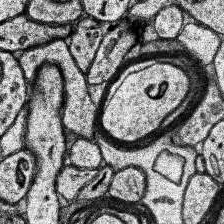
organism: Human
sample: Temporal Lobe